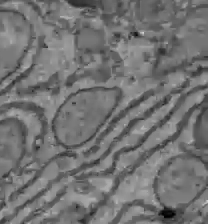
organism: C57BL Mouse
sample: Liver